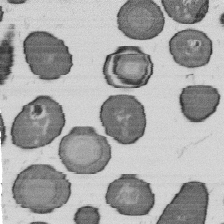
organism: B. subtilis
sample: Bacterial spore